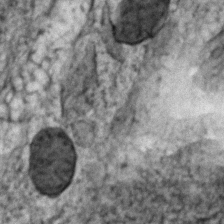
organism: Zebrafish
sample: Zebrafish embryo